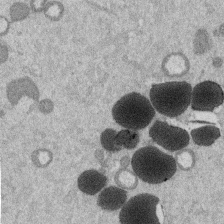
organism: Mouse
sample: Dividing mouse embryo 1 cell stage